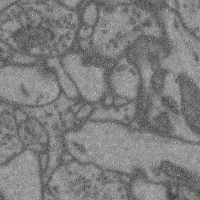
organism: Mouse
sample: Cerebral cortex